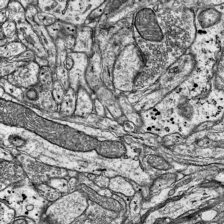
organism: Mouse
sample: Visual Cortex